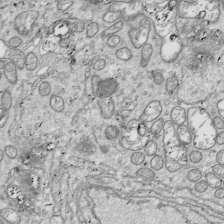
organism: Drosophila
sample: Cell division; meiosis; drosophila spermatocytes